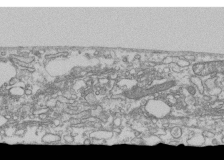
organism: Human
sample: Fibroblast cells